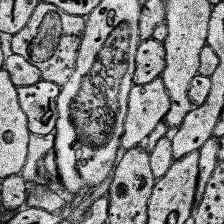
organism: Human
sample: Temporal Lobe